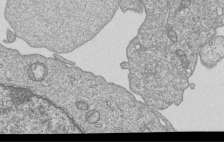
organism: Human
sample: MDA-MB-231 cells